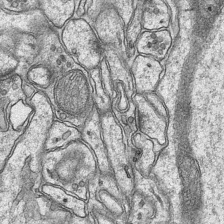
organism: Mouse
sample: CA1 Hippocampus